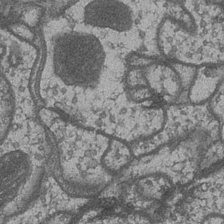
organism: Drosophila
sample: Optic medulla